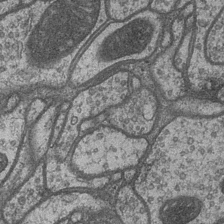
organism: Drosophila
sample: Optic medulla